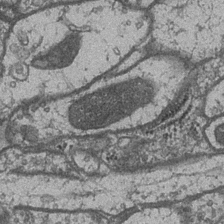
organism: Drosophila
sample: Optic medulla